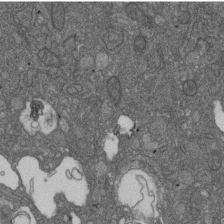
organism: Drosophila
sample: Nephrocyte